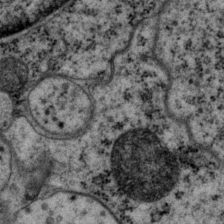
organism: P. pacificus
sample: Pharynx